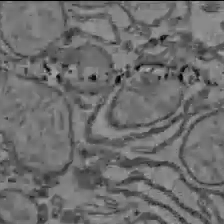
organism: C57BL Mouse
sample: Liver